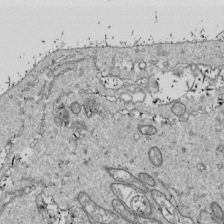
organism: Drosophila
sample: Cell division; meiosis; drosophila spermatocytes